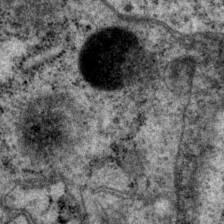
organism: P. pacificus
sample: Pharynx